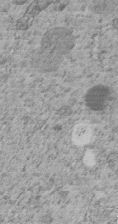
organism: C. elegans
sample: C. elegans embryo early stage